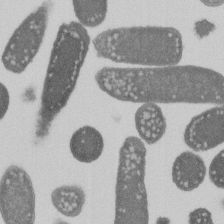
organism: E. coli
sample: Bacterial nucleoid